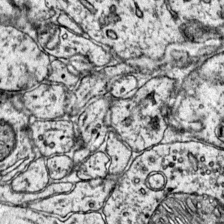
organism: Mouse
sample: Primary visual cortex